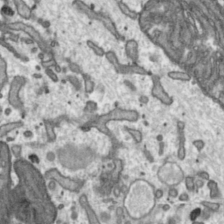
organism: Toxoplasma gondii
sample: Parasites in a vacuole inside a host cell